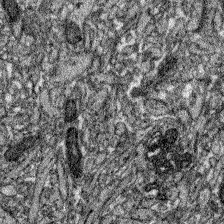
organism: Zebrafish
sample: Larval olfactory bulb